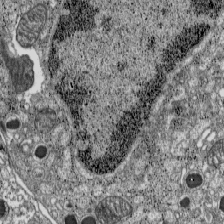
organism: C57BL Mouse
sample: Pancreatic islet